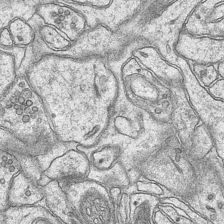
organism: Mouse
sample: CA1 Hippocampus